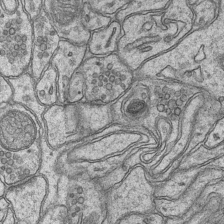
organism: Mouse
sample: CA1 Hippocampus